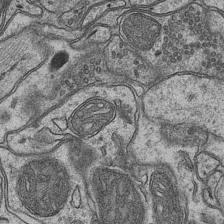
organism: Mouse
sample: CA1 Hippocampus